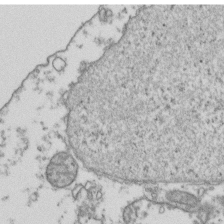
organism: Human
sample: Activated Jurkat CD4+ T cells